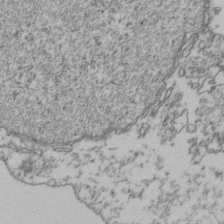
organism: Human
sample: Activated Jurkat CD4+ T cells